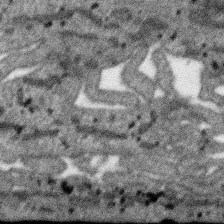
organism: Human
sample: Lung epithelial cells infected with SARS-CoV-2